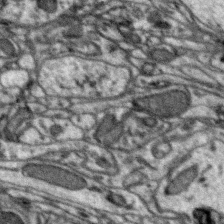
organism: Zebra finch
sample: Brain